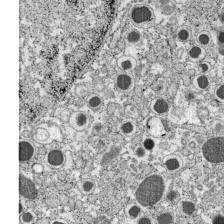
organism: C57BL Mouse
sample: Pancreatic islet